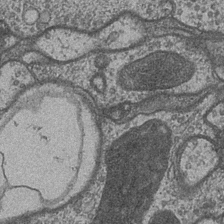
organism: Drosophila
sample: Optic medulla